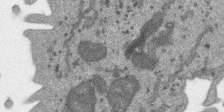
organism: Human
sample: Lung epithelial cells infected with SARS-CoV-2